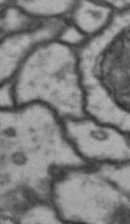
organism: Drosophila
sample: Brain